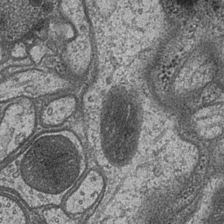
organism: Drosophila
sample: Optic medulla